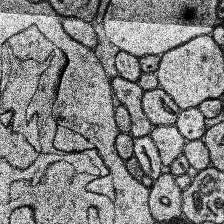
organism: Human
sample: Temporal Lobe